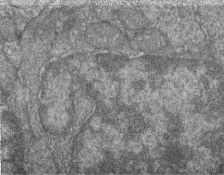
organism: Zebrafish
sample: Cilia; retinal pigment epithelium